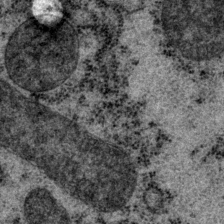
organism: P. pacificus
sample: Pharynx